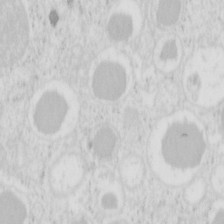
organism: Mouse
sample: Pancreas